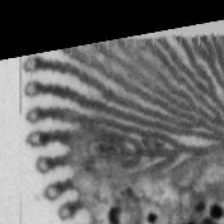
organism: Cable bacterium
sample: Filament